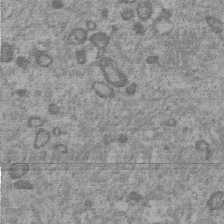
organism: Mouse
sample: Dividing mouse embryo 1 cell stage